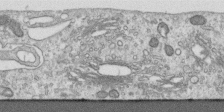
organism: Human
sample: Centriole in RPE cells